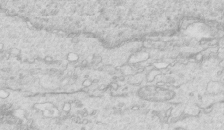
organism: Mouse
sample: Multiciliated cells